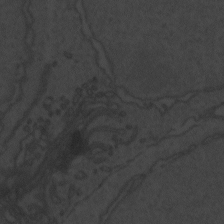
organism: Zebrafish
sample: Macrophage infected with Toxoplasma gondii